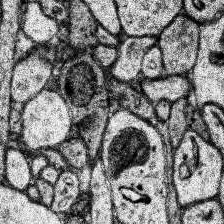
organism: Human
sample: Temporal Lobe